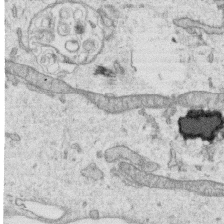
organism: Human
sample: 1205lu cells